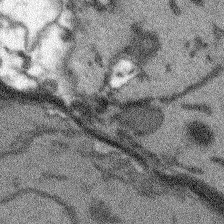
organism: Arabidopsis thaliana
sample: Root tip